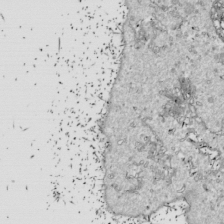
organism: Drosophila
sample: Cell division; meiosis; drosophila spermatocytes